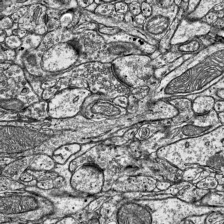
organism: Mouse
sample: Visual Cortex